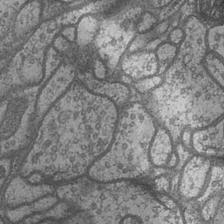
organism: Drosophila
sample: Optic medulla